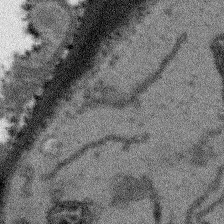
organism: Arabidopsis thaliana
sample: Root tip